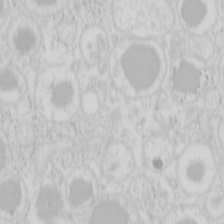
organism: Mouse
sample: Pancreas